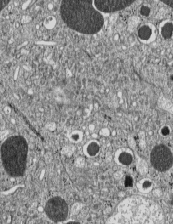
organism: C57BL Mouse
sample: Pancreatic islet